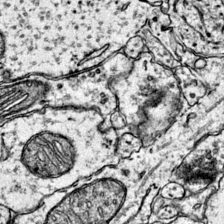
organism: Mouse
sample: Primary visual cortex